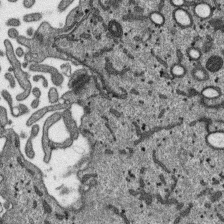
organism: Human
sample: Lung epithelial cells infected with SARS-CoV-2